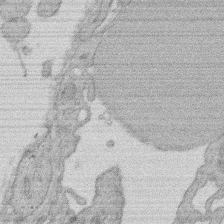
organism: Rat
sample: Salivary granule